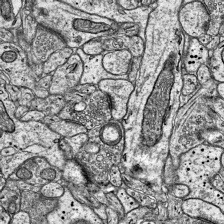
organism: Mouse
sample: Visual Cortex